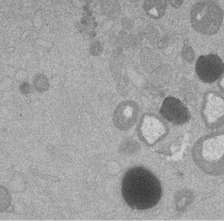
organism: Mouse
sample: Dividing mouse embryo 1 cell stage